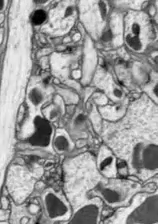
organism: Drosophila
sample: Optic lobe